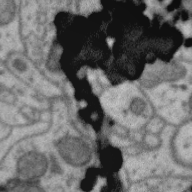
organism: Zebra finch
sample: Brain